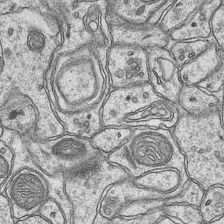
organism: Mouse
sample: CA1 Hippocampus